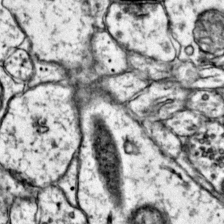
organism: Mouse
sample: Primary visual cortex